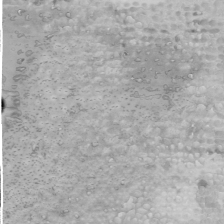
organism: Human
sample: Mitochondria in U2OS cells